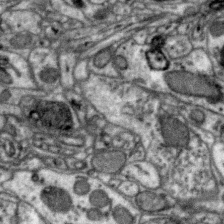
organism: Zebra finch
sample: Brain